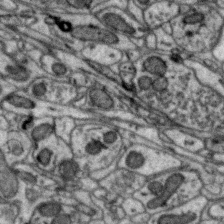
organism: Zebra finch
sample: Brain